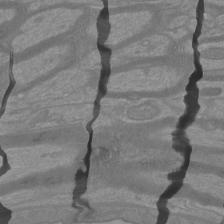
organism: Mouse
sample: Cortical neurons